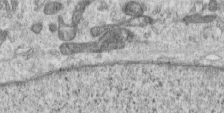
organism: Human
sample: Centriole in RPE cells